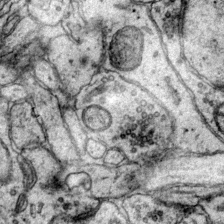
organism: Mouse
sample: Primary visual cortex